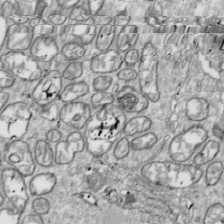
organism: Drosophila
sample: Cell division; meiosis; drosophila spermatocytes